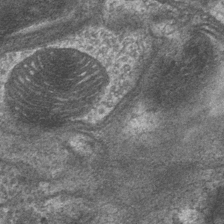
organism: Drosophila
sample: Optic medulla